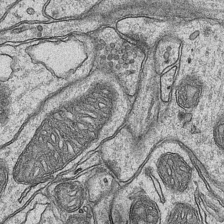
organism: Mouse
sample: CA1 Hippocampus